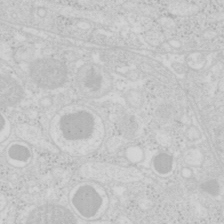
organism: Mouse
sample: Pancreas